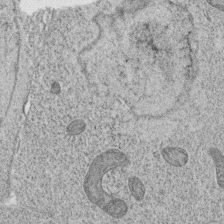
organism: C. elegans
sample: C. elegans oocyte; sperm cells